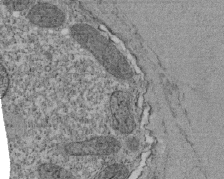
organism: Tetrahymena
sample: Cilia in tetrahymena